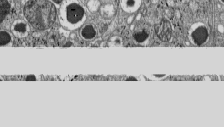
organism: C57BL Mouse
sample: Pancreatic islet